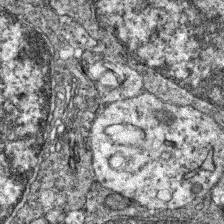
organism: Zebrafish